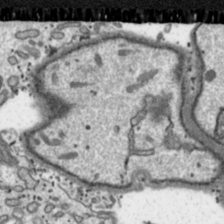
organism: Toxoplasma gondii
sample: Parasites in a vacuole inside a host cell